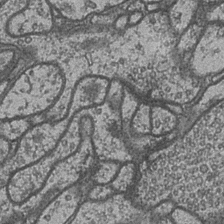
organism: Drosophila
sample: Optic medulla